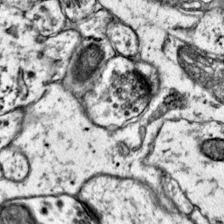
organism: Mouse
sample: Primary visual cortex